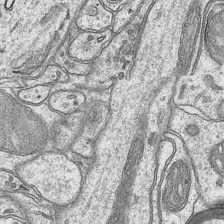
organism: Mouse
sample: CA1 Hippocampus